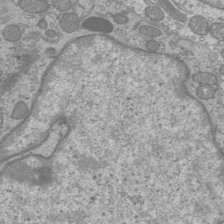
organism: Mouse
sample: Cilia; mouse epididymis